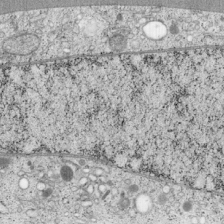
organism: African green monkey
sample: COS-7 cells